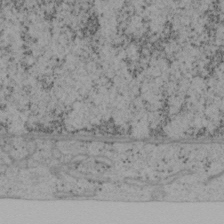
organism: Human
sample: HeLa cells